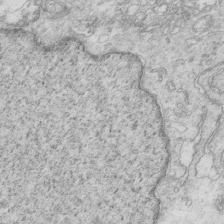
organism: Mouse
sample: Multiciliated cells